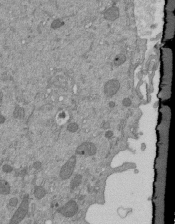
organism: Mouse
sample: ED-1 cell nuclei; centrioles